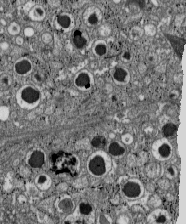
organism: C57BL Mouse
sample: Pancreatic islet